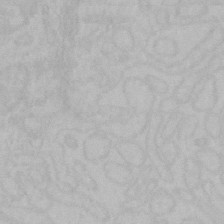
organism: Mouse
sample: Choroid plexus